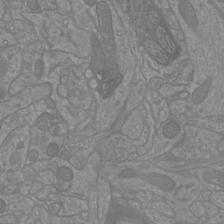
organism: Mouse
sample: Cortical neurons